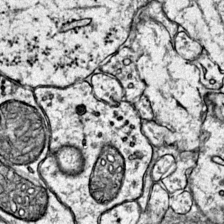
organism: Mouse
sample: Primary visual cortex